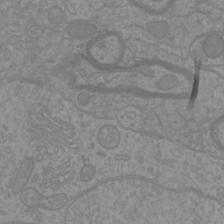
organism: Mouse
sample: Cortical neurons